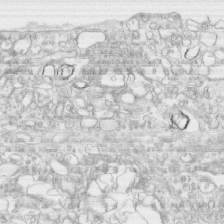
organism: Human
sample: CRL-1474